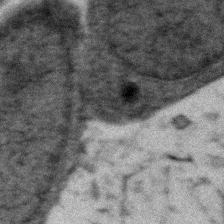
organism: Zebrafish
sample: Zebrafish embryo